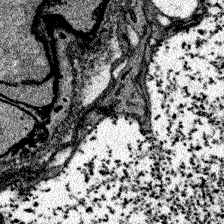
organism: Zebrafish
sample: Larval olfactory bulb